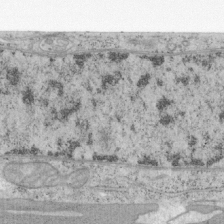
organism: Human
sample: HeLa cells